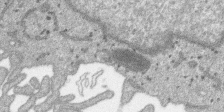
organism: Human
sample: Lung epithelial cells infected with SARS-CoV-2